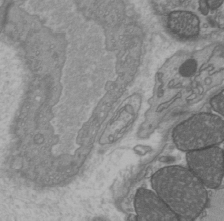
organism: C57BL Mouse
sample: Heart